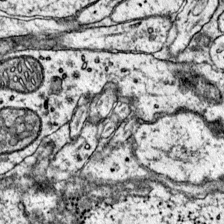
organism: Mouse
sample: Primary visual cortex